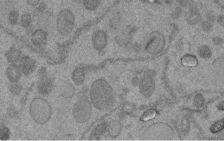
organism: C. elegans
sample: C. elegans embryo early stage